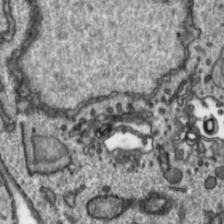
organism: Toxoplasma gondii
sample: Parasites in a vacuole inside a host cell